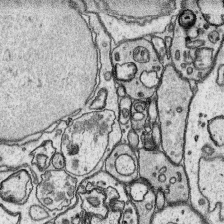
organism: Platynereis dumerilii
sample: Parapodia